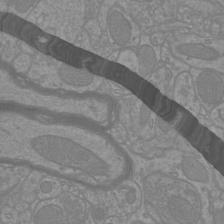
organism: Mouse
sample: Cortical neurons